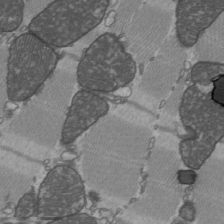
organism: C57BL Mouse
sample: Heart